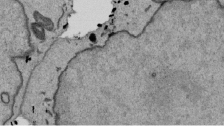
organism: Mouse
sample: ED-1 cell nuclei; centrioles